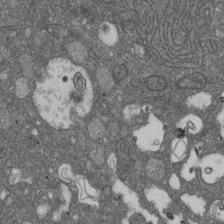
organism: Drosophila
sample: Nephrocyte